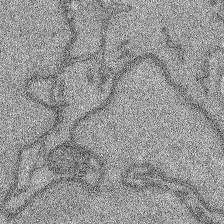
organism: Human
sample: HeLa cells